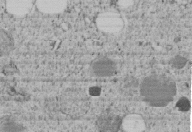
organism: C. elegans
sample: C. elegans embryo early stage